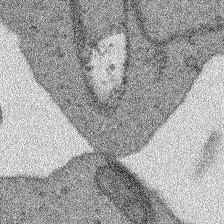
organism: Human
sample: HeLa cells